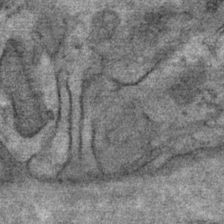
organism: Mouse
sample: Mouse Salivary gland